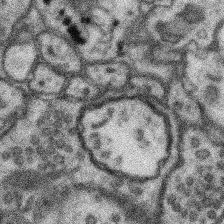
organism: Mouse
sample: Somatosensory cortex neuropil